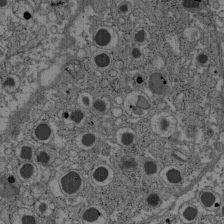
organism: C57BL Mouse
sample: Pancreatic islet